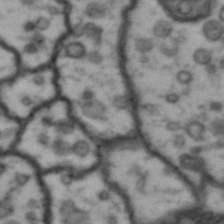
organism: Drosophila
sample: Brain